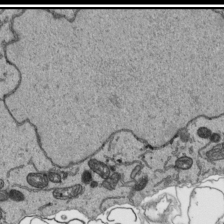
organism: Human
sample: Mitochondria in HCT116 cells